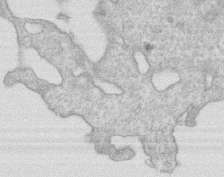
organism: Human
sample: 1205lu cells